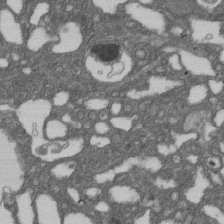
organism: Drosophila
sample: Nephrocyte